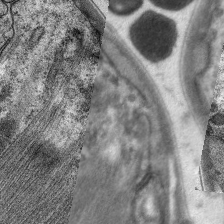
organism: C. elegans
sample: Pharynx